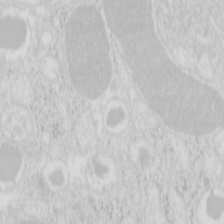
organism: Mouse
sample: Pancreas